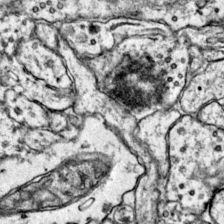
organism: Mouse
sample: Primary visual cortex